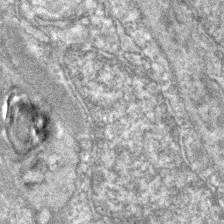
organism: Zebrafish